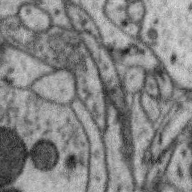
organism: Zebra finch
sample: Brain